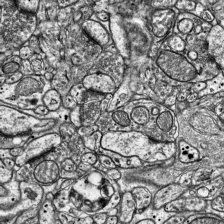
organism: Mouse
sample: Visual Cortex